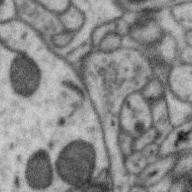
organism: Zebra finch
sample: Brain